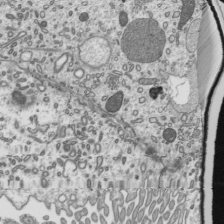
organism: Mouse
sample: Mouse epididymis efferent ductule cilia